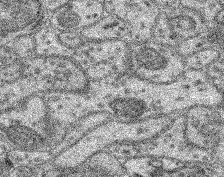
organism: Mouse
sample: Retina